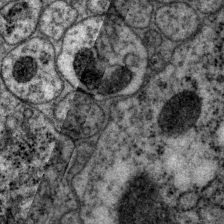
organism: P. pacificus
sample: Pharynx